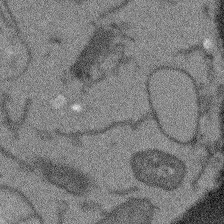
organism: Arabidopsis thaliana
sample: Root tip